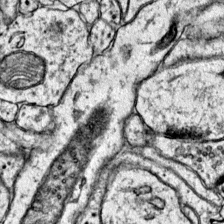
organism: Mouse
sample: Primary visual cortex